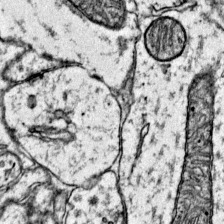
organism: Mouse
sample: Primary visual cortex